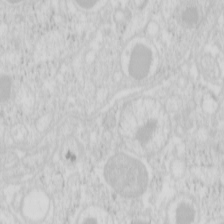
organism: Mouse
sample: Pancreas